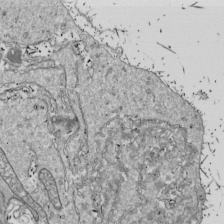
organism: Drosophila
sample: Cell division; meiosis; drosophila spermatocytes